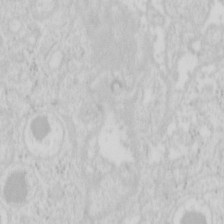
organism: Mouse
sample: Pancreas